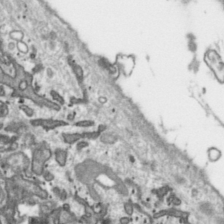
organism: Toxoplasma gondii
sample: Parasites in a vacuole inside a host cell